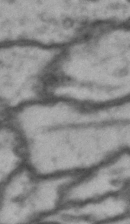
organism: Drosophila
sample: Brain